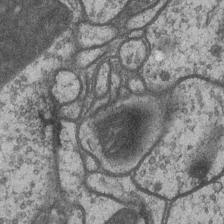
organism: Drosophila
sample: Optic medulla